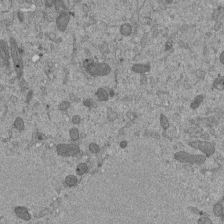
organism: Mouse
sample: ED-1 cell nuclei; centrioles